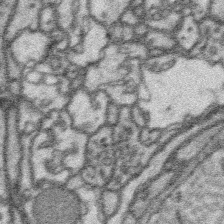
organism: Platynereis dumerilii